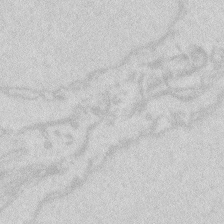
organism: Zebrafish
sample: Macrophage